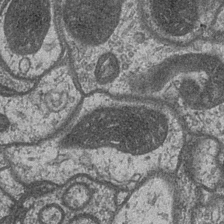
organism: Drosophila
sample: Optic medulla